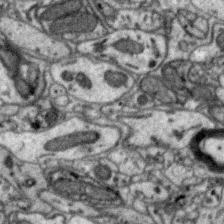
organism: Zebra finch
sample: Brain